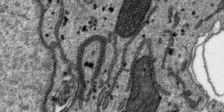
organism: Human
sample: Lung epithelial cells, uninfected (mock) control